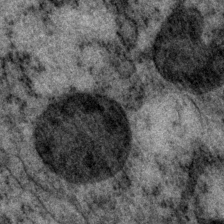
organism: P. pacificus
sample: Pharynx